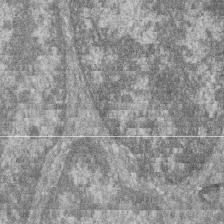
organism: Zebrafish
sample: Cilia; retinal pigment epithelium